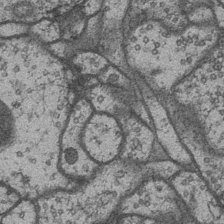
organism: Drosophila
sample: Optic medulla